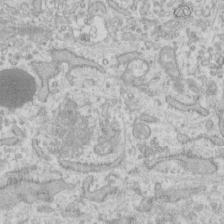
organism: Human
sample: Fibroblast cells